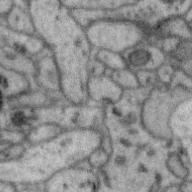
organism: Zebra finch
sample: Brain